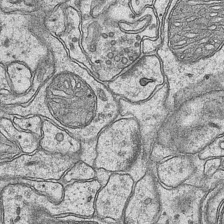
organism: Mouse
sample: CA1 Hippocampus